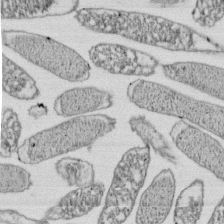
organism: E. coli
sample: Bacterial nucleoid